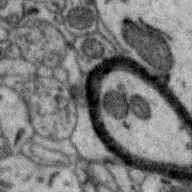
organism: Zebra finch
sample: Brain